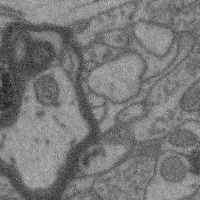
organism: Mouse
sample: Cerebral cortex